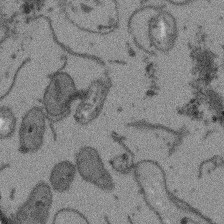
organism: Arabidopsis thaliana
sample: Root tip